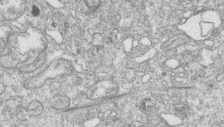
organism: Human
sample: HeLa cell HIV synapse